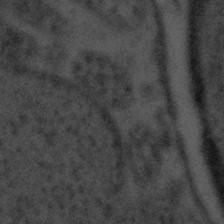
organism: Tuwongella immobilis